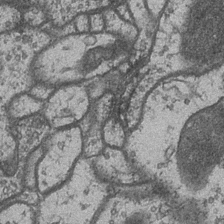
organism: Drosophila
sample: Optic medulla